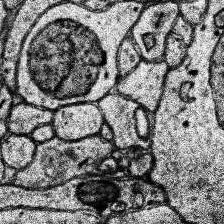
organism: Human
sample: Temporal Lobe